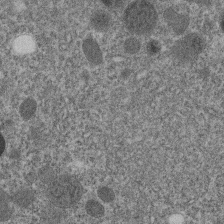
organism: C. elegans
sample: C. elegans embryo early stage